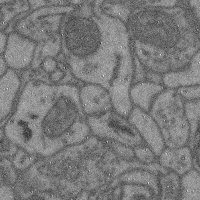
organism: Mouse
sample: Cerebral cortex